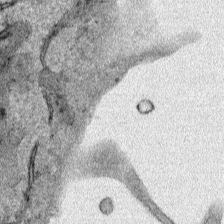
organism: Human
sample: Mitochondria in HCT116 cells